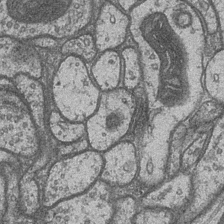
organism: Drosophila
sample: Optic medulla